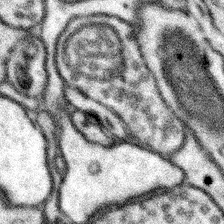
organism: Mouse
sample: Somatosensory cortex neuropil